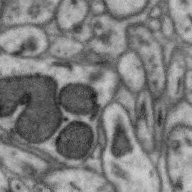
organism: Zebra finch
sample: Brain